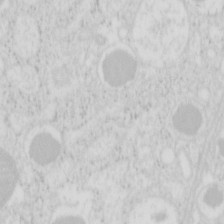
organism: Mouse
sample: Pancreas